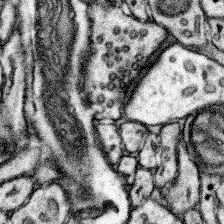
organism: Mouse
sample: Somatosensory cortex neuropil